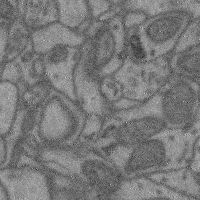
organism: Mouse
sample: Cerebral cortex